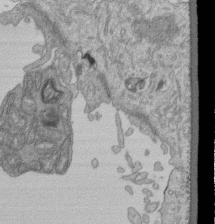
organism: Human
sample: Retinal organoid Rod and Cone cells